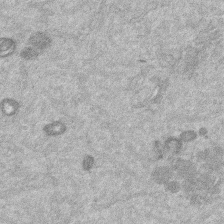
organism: Mouse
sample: Dividing mouse embryo 1 cell stage